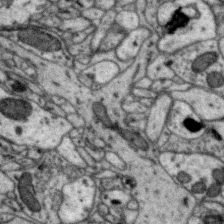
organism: Zebra finch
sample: Brain